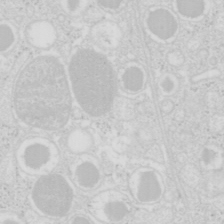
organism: Mouse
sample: Pancreas